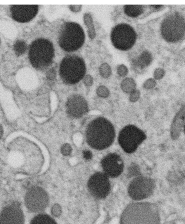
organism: C. elegans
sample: C. elegans oocyte; sperm cells